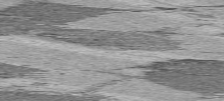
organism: C57BL Mouse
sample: Heart